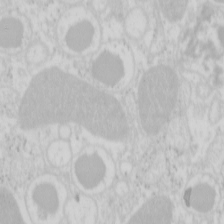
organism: Mouse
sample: Pancreas